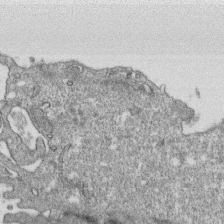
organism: African green monkey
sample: Vero E6 cells infected with SARS-CoV-2